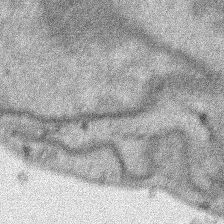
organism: Human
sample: Mitochondria in HCT116 cells